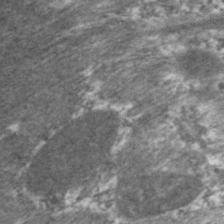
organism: C. elegans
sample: Pharynx